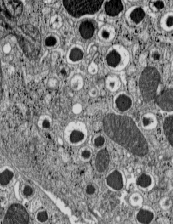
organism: C57BL Mouse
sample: Pancreatic islet